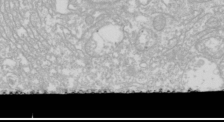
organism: Drosophila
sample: Cell division; meiosis; drosophila spermatocytes